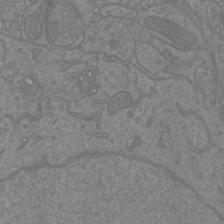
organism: Mouse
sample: Cortical neurons